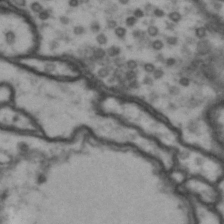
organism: Drosophila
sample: Brain